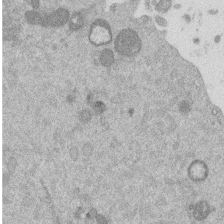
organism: Mouse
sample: Dividing mouse embryo 1 cell stage